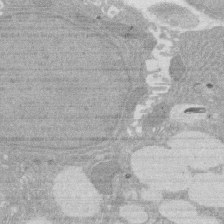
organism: Rat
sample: Salivary granule